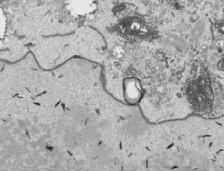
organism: Human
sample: Mitochondria in HCT116 cells